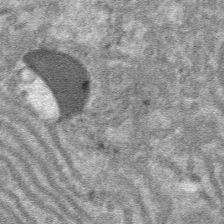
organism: Mouse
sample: Mouse hepatocytes